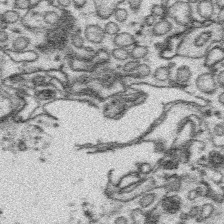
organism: Platynereis dumerilii